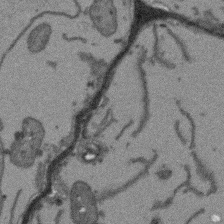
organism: Arabidopsis thaliana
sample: Root tip